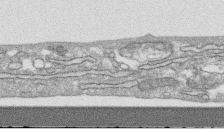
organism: Human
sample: CRL-1474